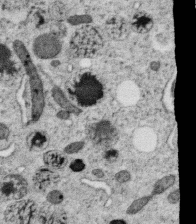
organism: C. elegans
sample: C. elegans oocyte; sperm cells